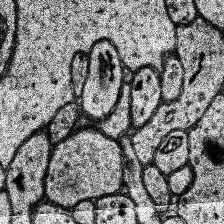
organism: Human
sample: Temporal Lobe